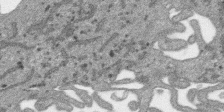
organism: Human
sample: Lung epithelial cells infected with SARS-CoV-2